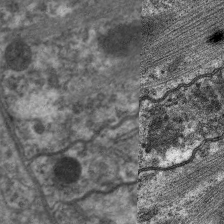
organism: C. elegans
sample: Pharynx